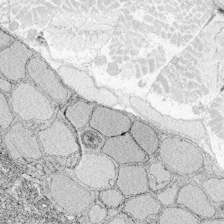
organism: Zebrafish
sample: Whole-Brain